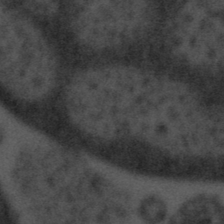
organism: Tuwongella immobilis